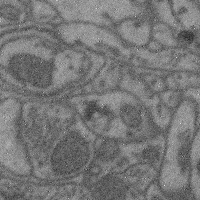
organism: Mouse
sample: Cerebral cortex